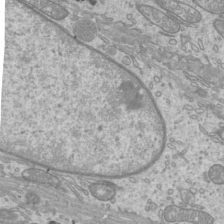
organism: Mouse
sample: Cilia; mouse epididymis